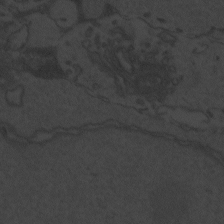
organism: Zebrafish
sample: Macrophage infected with Toxoplasma gondii